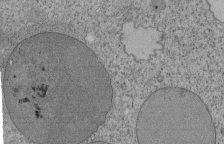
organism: Tetrahymena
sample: Cilia in tetrahymena